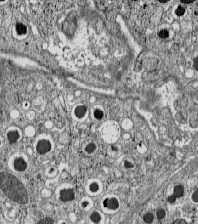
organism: C57BL Mouse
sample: Pancreatic islet